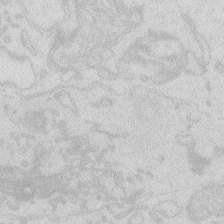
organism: Zebrafish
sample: Macrophage